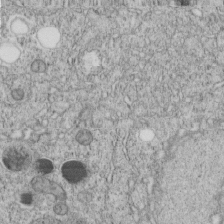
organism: C. elegans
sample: C. elegans embryo early stage